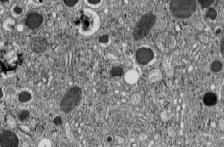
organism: C57BL Mouse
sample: Pancreatic islet